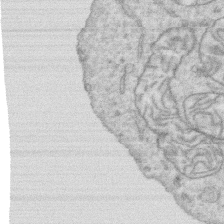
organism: Human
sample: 1205lu cells